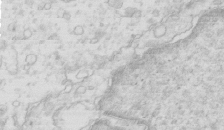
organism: Mouse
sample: Multiciliated cells